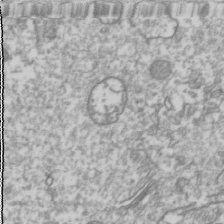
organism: Drosophila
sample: Cell division; meiosis; drosophila spermatocytes